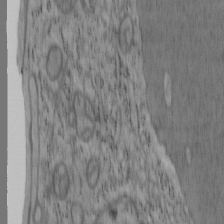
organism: Human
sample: HeLa cells